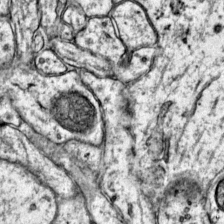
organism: Mouse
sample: Primary visual cortex